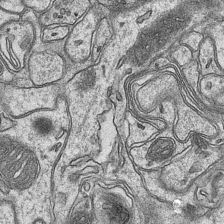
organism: Mouse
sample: CA1 Hippocampus